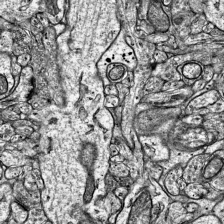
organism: Mouse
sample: Visual Cortex